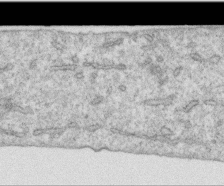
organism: Human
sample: Centriole in RPE cells